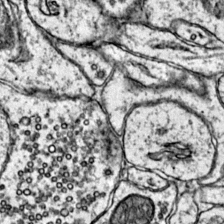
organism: Mouse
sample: Primary visual cortex